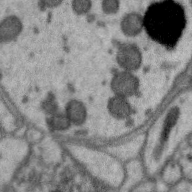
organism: Zebra finch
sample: Brain